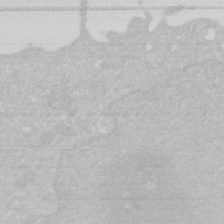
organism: Human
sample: HIV infected U937 cells